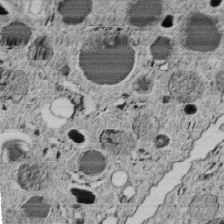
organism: C. elegans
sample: C. elegans embryo early stage